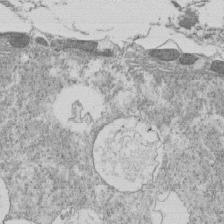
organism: Tetrahymena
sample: Cilia in tetrahymena